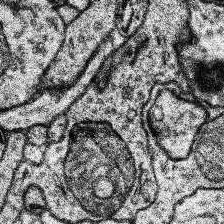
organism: Human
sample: Temporal Lobe